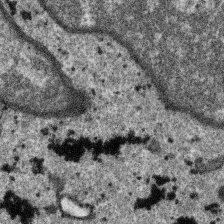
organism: Human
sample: Lung epithelial cells infected with SARS-CoV-2